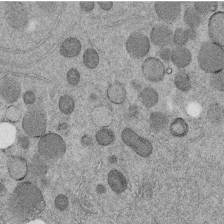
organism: C. elegans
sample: C. elegans embryo early stage